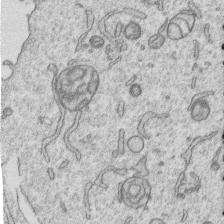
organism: Human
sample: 1205lu cells